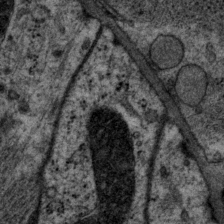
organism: P. pacificus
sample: Pharynx